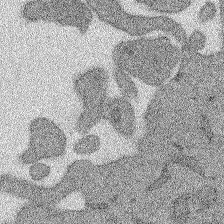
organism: Human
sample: HeLa cells